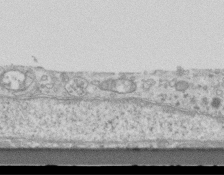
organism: Mouse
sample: Centriole in ependymal cells